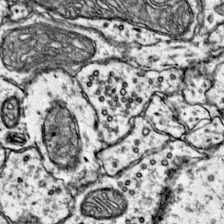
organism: Mouse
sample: Primary visual cortex